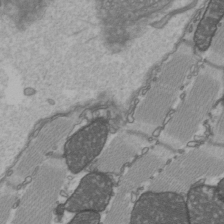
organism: C57BL Mouse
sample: Heart